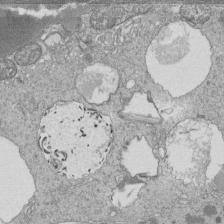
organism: Tetrahymena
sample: Cilia in tetrahymena